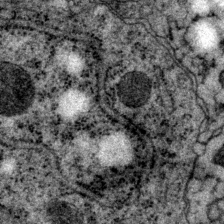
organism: P. pacificus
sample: Pharynx